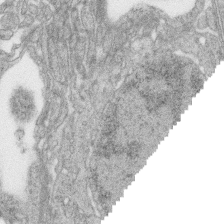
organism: Zebrafish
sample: synaptic ribbons in rod cells and cone cells